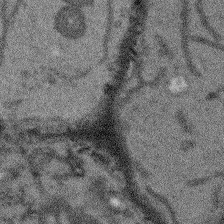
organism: Arabidopsis thaliana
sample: Root tip